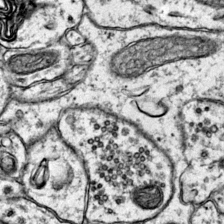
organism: Mouse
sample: Primary visual cortex